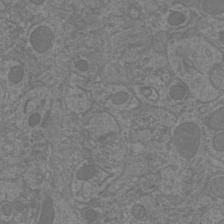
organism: Mouse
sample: Cortical neurons